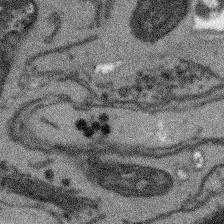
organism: Arabidopsis thaliana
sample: Root tip